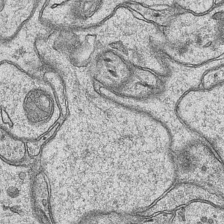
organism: Mouse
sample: CA1 Hippocampus